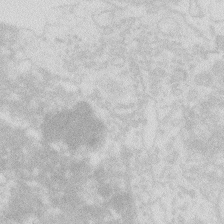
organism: Zebrafish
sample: Macrophage